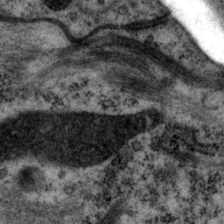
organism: P. pacificus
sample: Pharynx